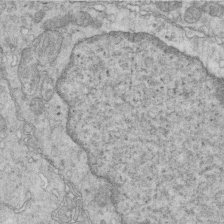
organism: Mouse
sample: Multiciliated cells